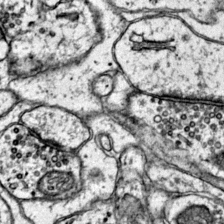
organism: Mouse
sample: Primary visual cortex